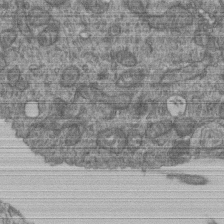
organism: Human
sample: Retinal organoid Rod and Cone cells